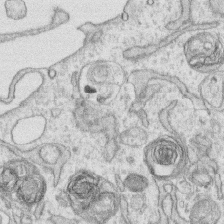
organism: Human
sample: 1205lu cells